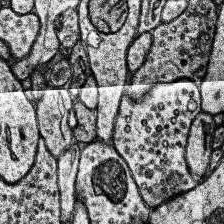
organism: Human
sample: Temporal Lobe